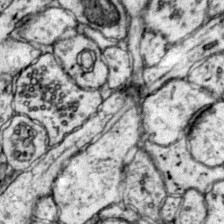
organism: Mouse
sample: Primary visual cortex